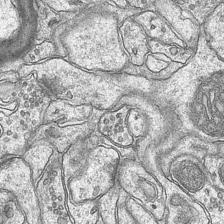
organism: Mouse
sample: CA1 Hippocampus